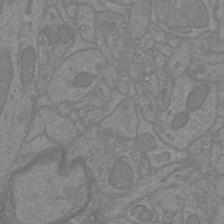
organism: Mouse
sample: Cortical neurons